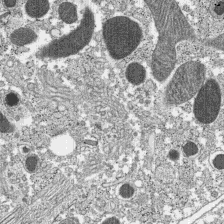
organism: C57BL Mouse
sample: Pancreatic islet